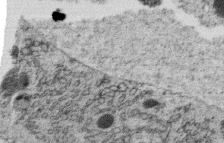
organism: C. elegans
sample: C. elegans oocyte; sperm cells